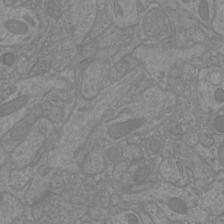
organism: Mouse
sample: Cortical neurons